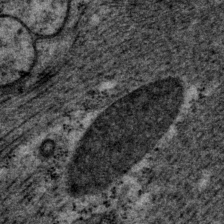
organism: P. pacificus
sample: Pharynx